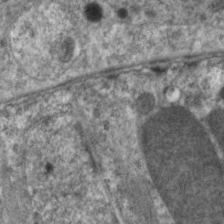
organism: C. elegans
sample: Pharynx